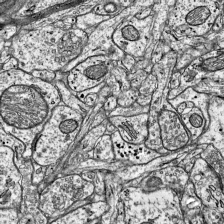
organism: Mouse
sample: Visual Cortex